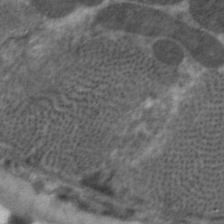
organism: C. elegans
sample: Pharynx